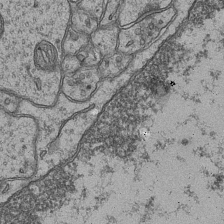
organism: Mouse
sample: CA1 Hippocampus